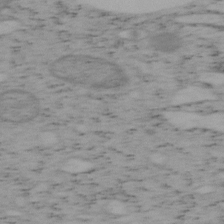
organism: Mouse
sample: OT-I killer T cells with ID8 ovarian cancer cells